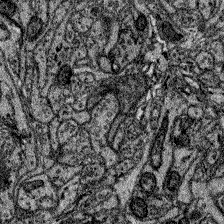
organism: Zebrafish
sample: Larval olfactory bulb